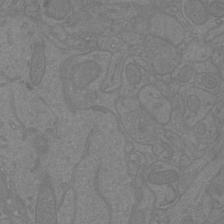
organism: Mouse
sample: Cortical neurons